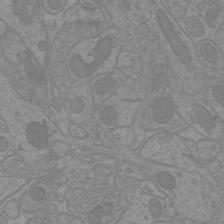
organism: Mouse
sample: Cortical neurons